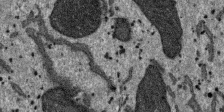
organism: Human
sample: Lung epithelial cells, uninfected (mock) control